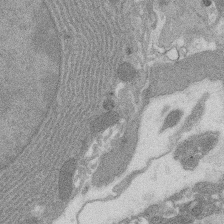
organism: Rat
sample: Salivary granule